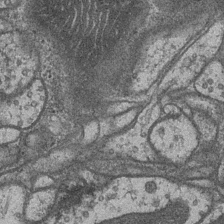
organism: Drosophila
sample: Optic medulla